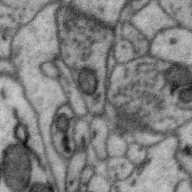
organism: Zebra finch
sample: Brain